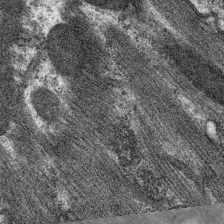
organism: C. elegans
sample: Pharynx